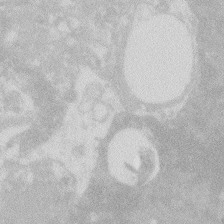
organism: Zebrafish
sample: Macrophage